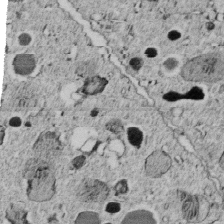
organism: C. elegans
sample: C. elegans embryo early stage